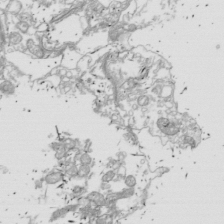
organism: Drosophila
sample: Cell division; meiosis; drosophila spermatocytes